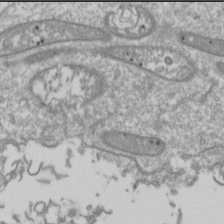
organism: Drosophila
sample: Cell division; meiosis; drosophila spermatocytes